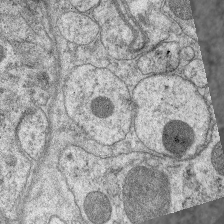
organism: C. elegans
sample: Pharynx